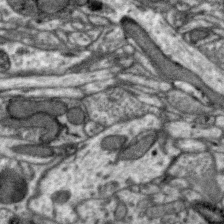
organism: Zebra finch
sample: Brain